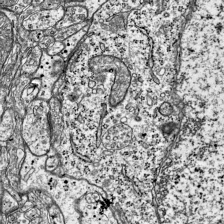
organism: Mouse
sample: Visual Cortex